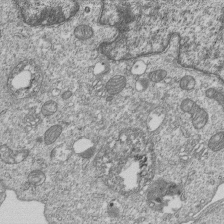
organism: Human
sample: MDA-MB-231 cells